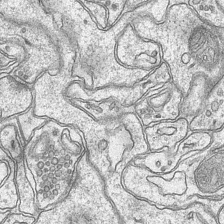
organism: Mouse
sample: CA1 Hippocampus